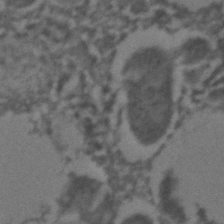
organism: C. elegans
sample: C. elegans embryo